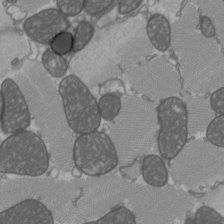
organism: C57BL Mouse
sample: Heart